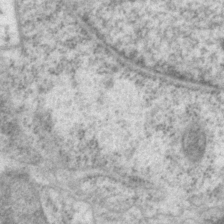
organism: P. pacificus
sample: Pharynx